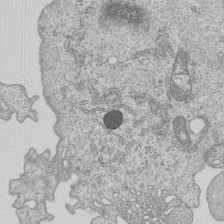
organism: Human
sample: MDA-MB-231 cells